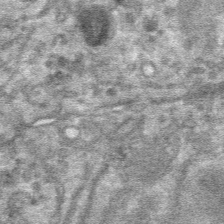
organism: Mouse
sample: Mouse hepatocytes